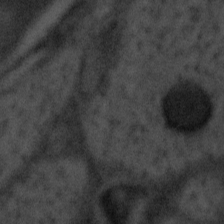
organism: Tuwongella immobilis